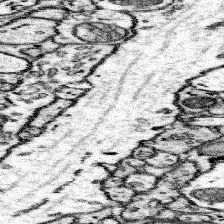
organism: Mouse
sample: Somatosensory cortex neuropil